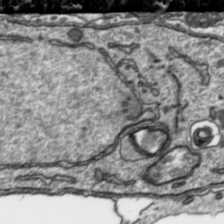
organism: Toxoplasma gondii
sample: Parasites in a vacuole inside a host cell